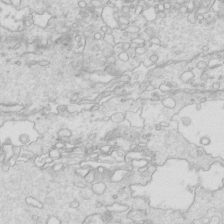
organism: Mouse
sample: Multiciliated cells